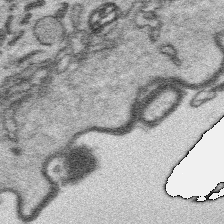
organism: Platynereis dumerilii